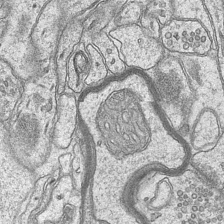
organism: Mouse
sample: CA1 Hippocampus